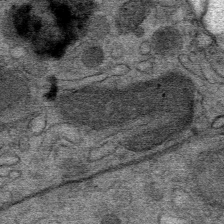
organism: Mouse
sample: Mouse Salivary gland